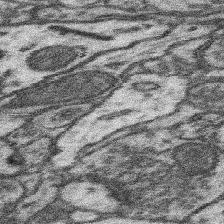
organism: Mouse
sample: Somatosensory cortex neuropil